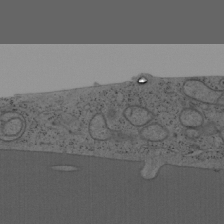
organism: Human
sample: HeLa cells